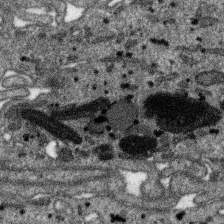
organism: Human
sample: Lung epithelial cells infected with SARS-CoV-2